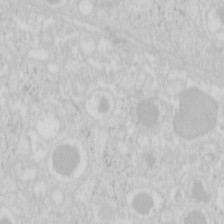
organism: Mouse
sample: Pancreas